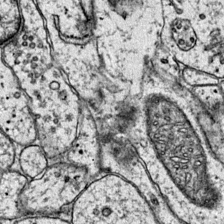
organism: Mouse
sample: Primary visual cortex